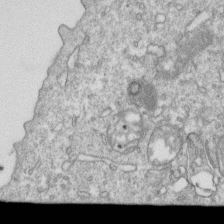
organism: Mouse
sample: Activated OT-1 CD8+ T cells